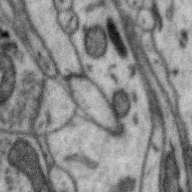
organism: Zebra finch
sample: Brain